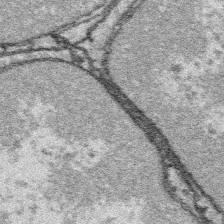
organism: Platynereis dumerilii